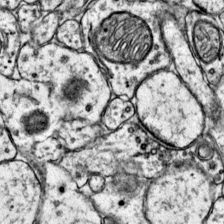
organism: Mouse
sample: Primary visual cortex